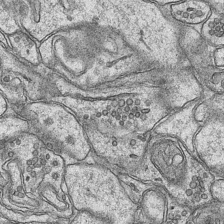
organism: Mouse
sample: CA1 Hippocampus